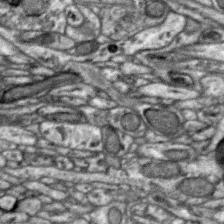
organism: Zebra finch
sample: Brain